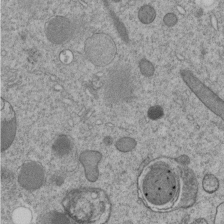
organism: C. elegans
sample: C. elegans embryo early stage